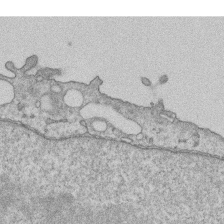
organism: Human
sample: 1205lu cells